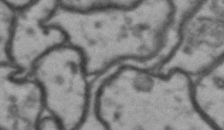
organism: Drosophila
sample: Brain